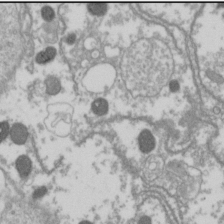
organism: Drosophila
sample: Cell division; meiosis; drosophila spermatocytes